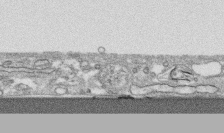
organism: Human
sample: CRL-1474